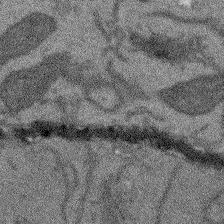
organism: Arabidopsis thaliana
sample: Root tip